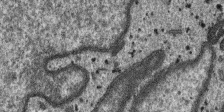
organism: Human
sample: Lung epithelial cells infected with SARS-CoV-2